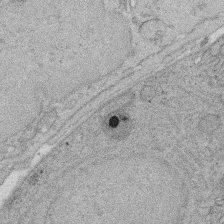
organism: Rat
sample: Salivary granule